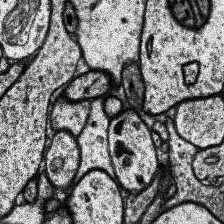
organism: Human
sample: Temporal Lobe